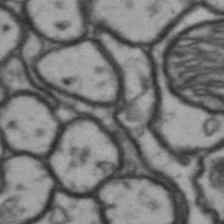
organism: Drosophila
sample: Brain